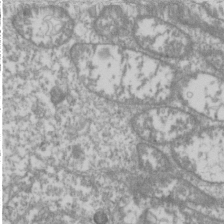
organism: Drosophila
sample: Cell division; meiosis; drosophila spermatocytes